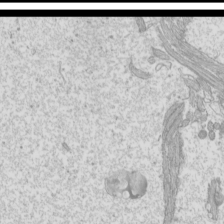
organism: Mouse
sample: Cilia; mouse epididymis